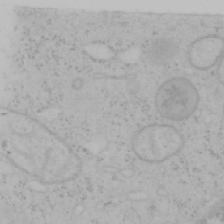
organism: Mouse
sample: OT-I killer T cells with ID8 ovarian cancer cells